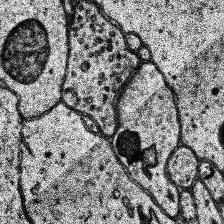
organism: Human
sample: Temporal Lobe